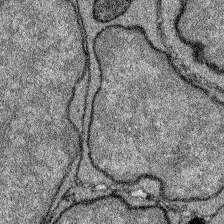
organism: Zebrafish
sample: Larval olfactory bulb